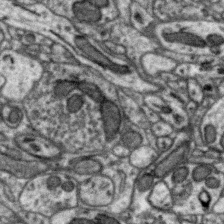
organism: Zebra finch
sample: Brain